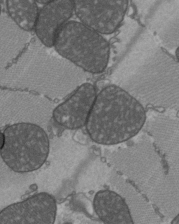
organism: C57BL Mouse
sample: Heart